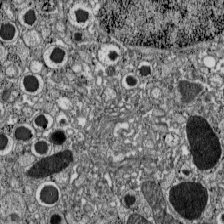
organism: C57BL Mouse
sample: Pancreatic islet